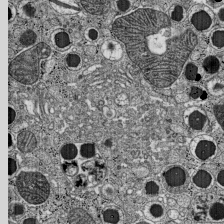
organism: C57BL Mouse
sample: Pancreatic islet